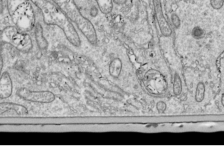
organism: Drosophila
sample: Cell division; meiosis; drosophila spermatocytes